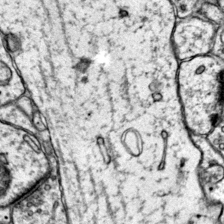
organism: Mouse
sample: Primary visual cortex